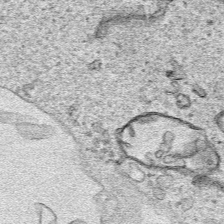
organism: Human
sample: Mitochondria in HCT116 cells